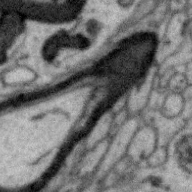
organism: Zebra finch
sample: Brain